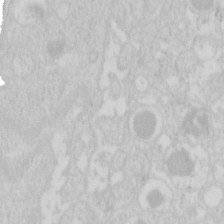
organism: Mouse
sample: Pancreas